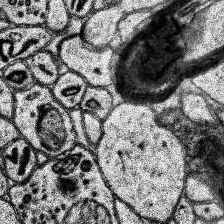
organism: Human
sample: Temporal Lobe